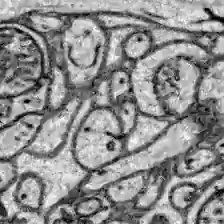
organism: Zebrafish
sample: Brain